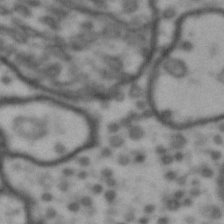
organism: Drosophila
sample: Brain